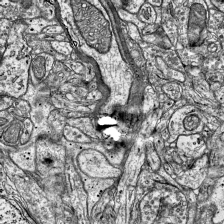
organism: Mouse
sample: Visual Cortex